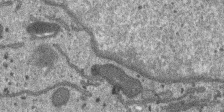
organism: Human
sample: Lung epithelial cells infected with SARS-CoV-2